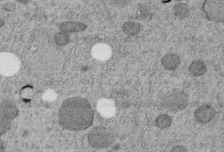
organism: C. elegans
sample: C. elegans embryo early stage